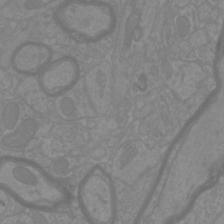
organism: Mouse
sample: Cortical neurons